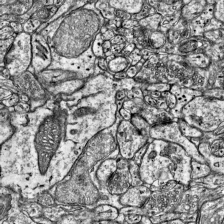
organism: Mouse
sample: Visual Cortex